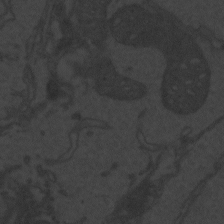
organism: Zebrafish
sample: Macrophage infected with Toxoplasma gondii